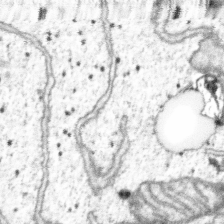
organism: Human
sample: HeLa cells